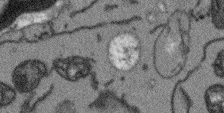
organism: Arabidopsis thaliana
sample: Root tip